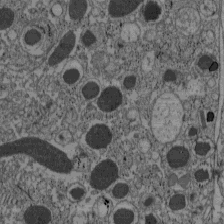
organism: C57BL Mouse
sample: Pancreatic islet